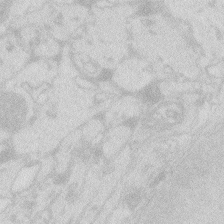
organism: Zebrafish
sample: Macrophage